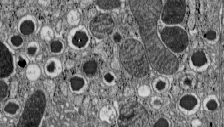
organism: C57BL Mouse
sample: Pancreatic islet